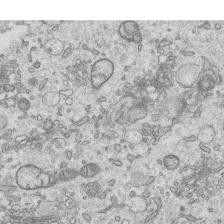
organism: Human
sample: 1205lu cells